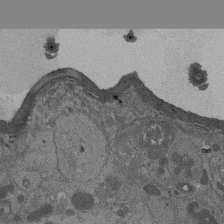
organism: Drosophila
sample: Antenna